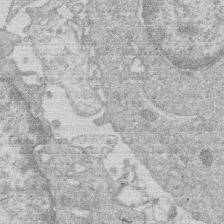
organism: Human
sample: Macrophage cells